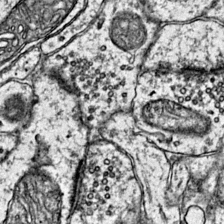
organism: Mouse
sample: Primary visual cortex